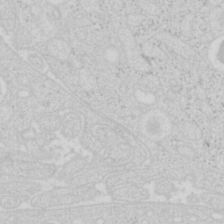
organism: Mouse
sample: Pancreas